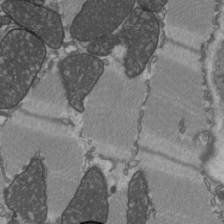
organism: C57BL Mouse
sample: Heart